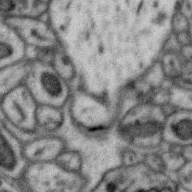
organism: Zebra finch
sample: Brain